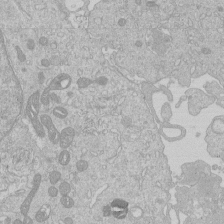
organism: Human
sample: Macrophage cells